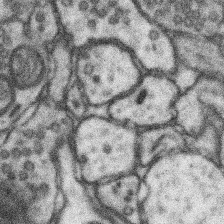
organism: Mouse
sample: Somatosensory cortex neuropil